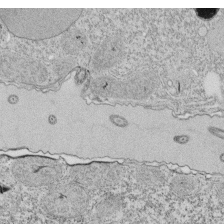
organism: Tetrahymena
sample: Cilia in tetrahymena